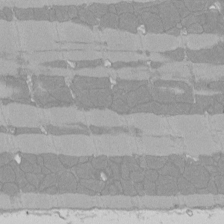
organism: Rat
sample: Left ventricle